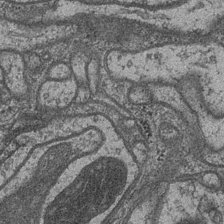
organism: Drosophila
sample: Optic medulla